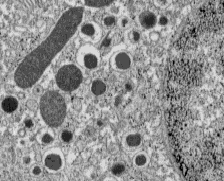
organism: C57BL Mouse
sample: Pancreatic islet